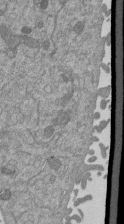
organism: Mouse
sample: ED-1 cell nuclei; centrioles